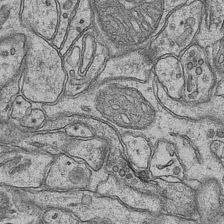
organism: Mouse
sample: CA1 Hippocampus